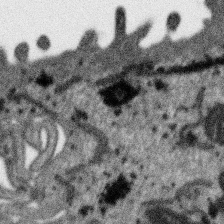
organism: Human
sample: Lung epithelial cells infected with SARS-CoV-2